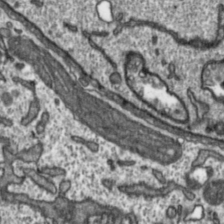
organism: Toxoplasma gondii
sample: Parasites in a vacuole inside a host cell